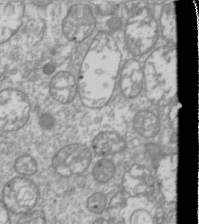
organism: Drosophila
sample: Cell division; meiosis; drosophila spermatocytes